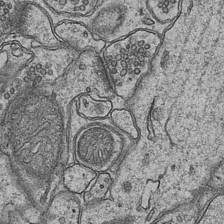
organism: Mouse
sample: CA1 Hippocampus